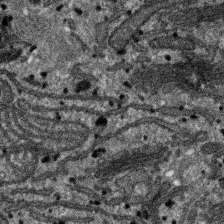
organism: Human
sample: Lung epithelial cells infected with SARS-CoV-2